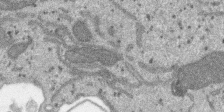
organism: Human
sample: Lung epithelial cells infected with SARS-CoV-2